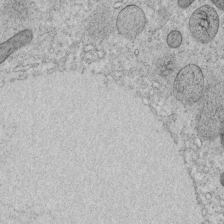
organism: C. elegans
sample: C. elegans embryo early stage